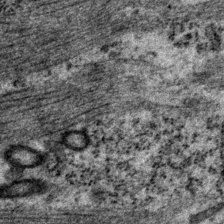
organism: P. pacificus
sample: Pharynx